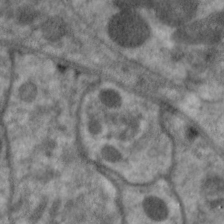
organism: C. elegans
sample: Pharynx